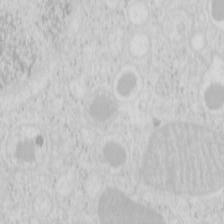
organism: Mouse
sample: Pancreas